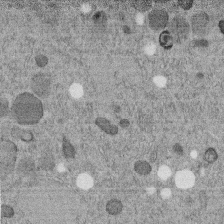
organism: C. elegans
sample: C. elegans embryo early stage